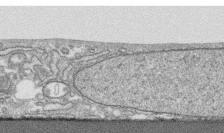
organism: Human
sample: CRL-1474